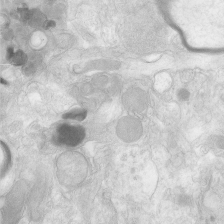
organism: Human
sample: Neocortex